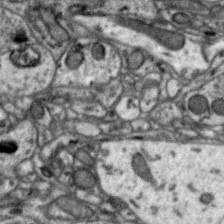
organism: Zebra finch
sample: Brain